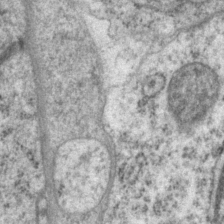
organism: P. pacificus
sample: Pharynx